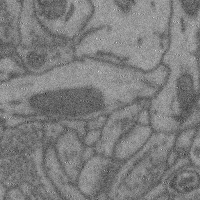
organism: Mouse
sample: Cerebral cortex